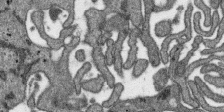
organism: Human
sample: Lung epithelial cells, uninfected (mock) control